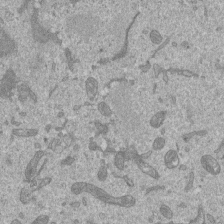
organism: Mouse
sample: ED-1 cell nuclei; centrioles